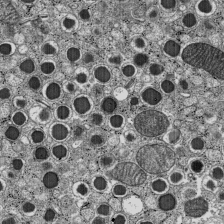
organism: C57BL Mouse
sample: Pancreatic islet